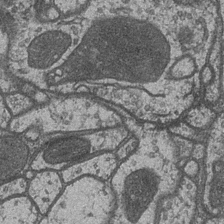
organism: Drosophila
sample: Optic medulla